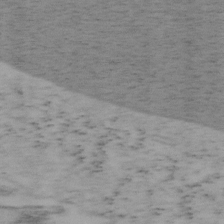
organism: Mouse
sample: OT-I killer T cells with ID8 ovarian cancer cells